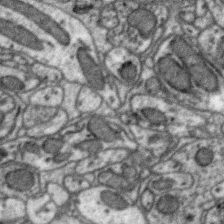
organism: Zebra finch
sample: Brain